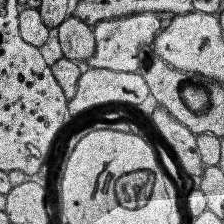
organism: Human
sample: Temporal Lobe